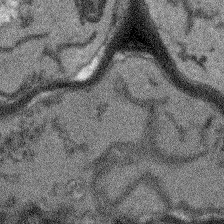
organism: Arabidopsis thaliana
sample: Root tip